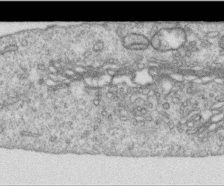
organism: Human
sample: Centriole in RPE cells